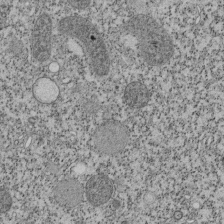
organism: Tetrahymena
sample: Cilia in tetrahymena